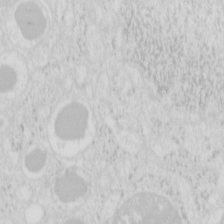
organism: Mouse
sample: Pancreas